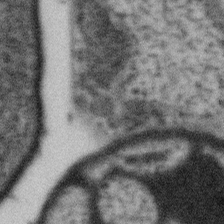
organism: Gemmata obscuriglobus